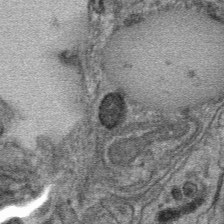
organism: Mouse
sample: Mouse hepatocytes